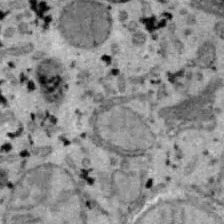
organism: Mouse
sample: Liver from an obese (ob/ob) mouse